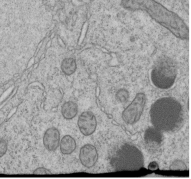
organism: C. elegans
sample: C. elegans embryo early stage